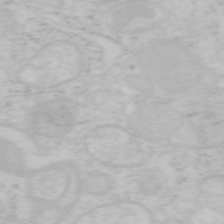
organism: Mouse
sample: OT-I killer T cells with ID8 ovarian cancer cells